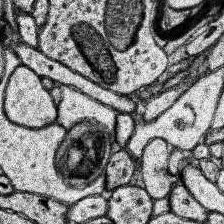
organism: Human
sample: Temporal Lobe